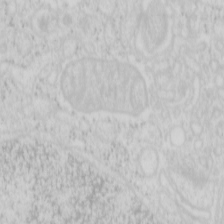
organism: Mouse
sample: Pancreas